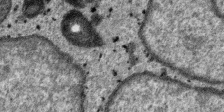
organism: Human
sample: Lung epithelial cells, uninfected (mock) control